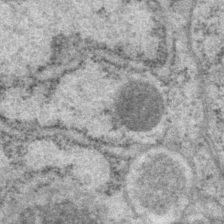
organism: P. pacificus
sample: Pharynx